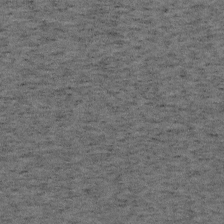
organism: Mouse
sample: OT-I killer T cells with ID8 ovarian cancer cells